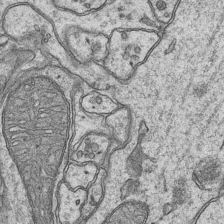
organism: Mouse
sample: CA1 Hippocampus